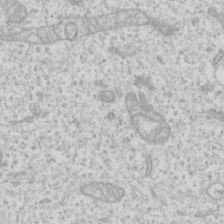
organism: Human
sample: Fibroblast cells